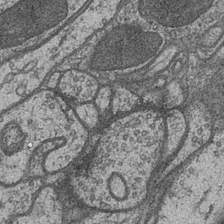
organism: Drosophila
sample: Optic medulla